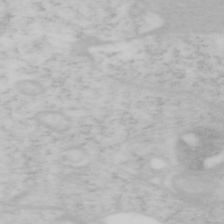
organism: Mouse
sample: OT-I killer T cells with ID8 ovarian cancer cells